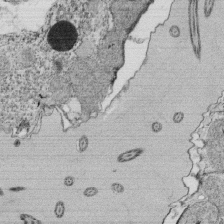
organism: Tetrahymena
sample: Cilia in tetrahymena